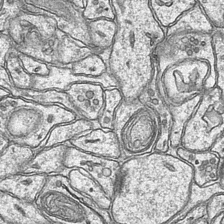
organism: Mouse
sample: CA1 Hippocampus